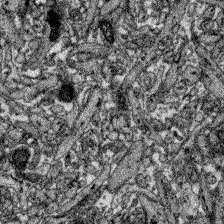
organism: Zebrafish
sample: Larval olfactory bulb